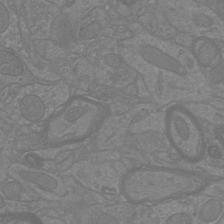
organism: Mouse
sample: Cortical neurons